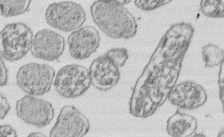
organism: E. coli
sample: Bacterial nucleoid